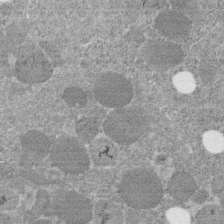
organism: C. elegans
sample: C. elegans embryo early stage